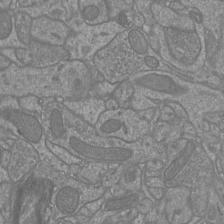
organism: Mouse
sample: Cortical neurons